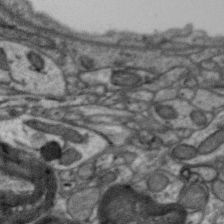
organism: Zebra finch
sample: Brain